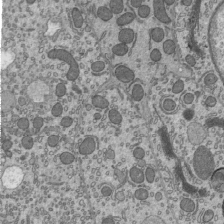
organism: Mouse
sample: Mouse epididymis efferent ductule cilia